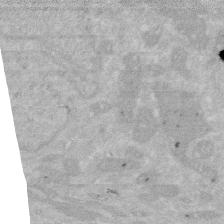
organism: Human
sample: HIV infected U937 cells